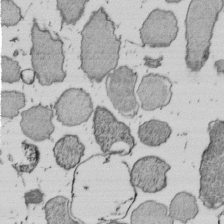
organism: E. coli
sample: Bacterial nucleoid